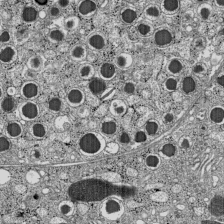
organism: C57BL Mouse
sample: Pancreatic islet